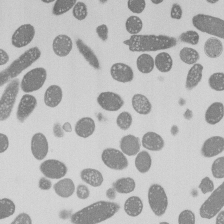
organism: E. coli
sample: Bacterial nucleoid